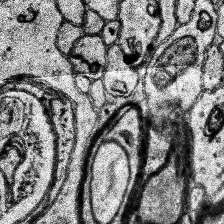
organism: Human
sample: Temporal Lobe